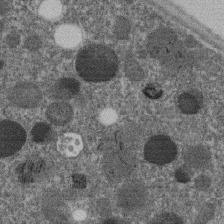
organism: C. elegans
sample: C. elegans embryo early stage